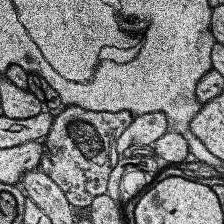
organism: Human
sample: Temporal Lobe